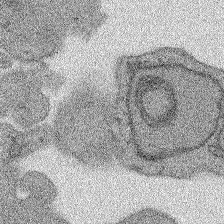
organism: Human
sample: HeLa cells